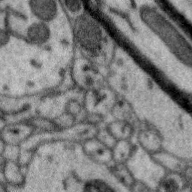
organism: Zebra finch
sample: Brain